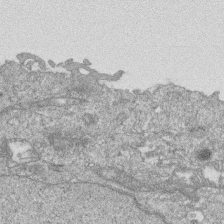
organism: Human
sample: HeLa cell HIV synapse